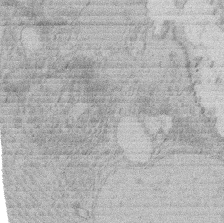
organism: Rat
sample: Salivary granule